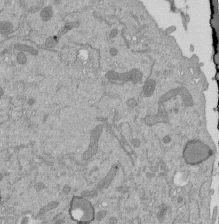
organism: Mouse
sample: ED-1 cell nuclei; centrioles